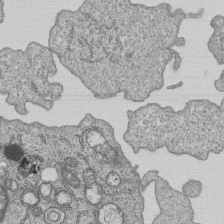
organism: Human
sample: MDA-MB-231 cells